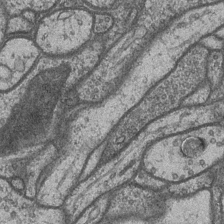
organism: Drosophila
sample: Optic medulla